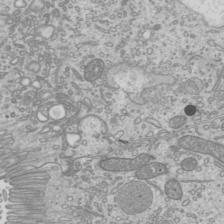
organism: Mouse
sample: Cilia; mouse epididymis